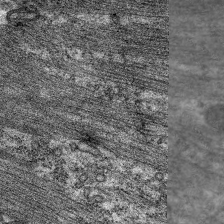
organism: C. elegans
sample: Pharynx